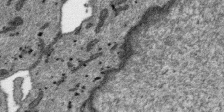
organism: Human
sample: Lung epithelial cells, uninfected (mock) control